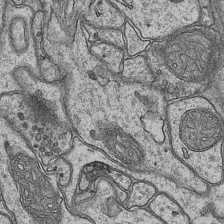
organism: Mouse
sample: CA1 Hippocampus